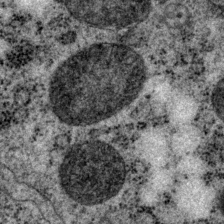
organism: P. pacificus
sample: Pharynx